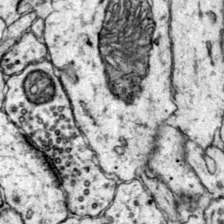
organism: Mouse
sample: Primary visual cortex